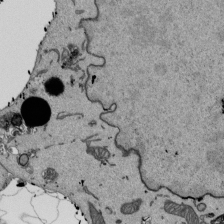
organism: Mouse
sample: ED-1 cell nuclei; centrioles